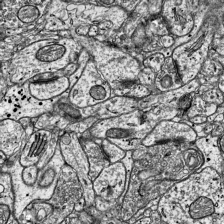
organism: Mouse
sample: Visual Cortex